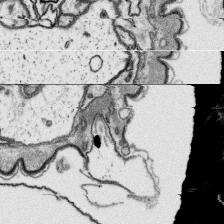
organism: Platynereis dumerilii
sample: Parapodia